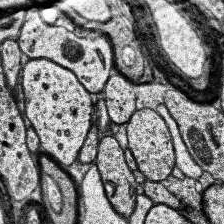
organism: Human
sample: Temporal Lobe